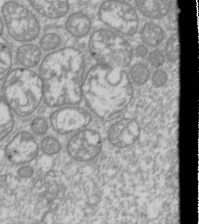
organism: Drosophila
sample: Cell division; meiosis; drosophila spermatocytes